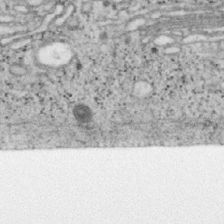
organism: Mouse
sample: OT-I killer T cells with ID8 ovarian cancer cells